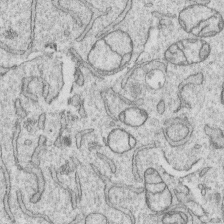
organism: Human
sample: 1205lu cells